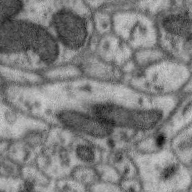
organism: Zebra finch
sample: Brain